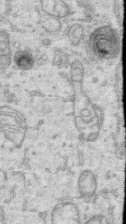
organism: Human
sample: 1205lu cells